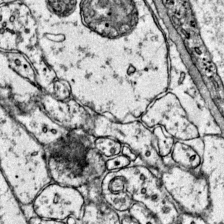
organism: Mouse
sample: Primary visual cortex